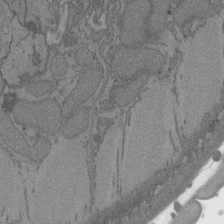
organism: C. elegans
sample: AFD neurons C. elegans